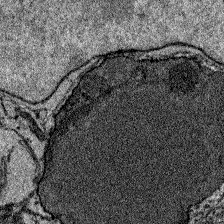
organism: Zebrafish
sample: Larval olfactory bulb